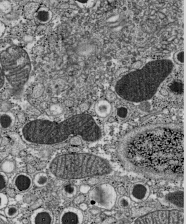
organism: C57BL Mouse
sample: Pancreatic islet